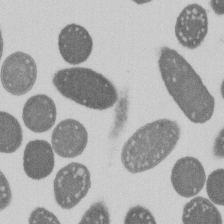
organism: E. coli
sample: Bacterial nucleoid